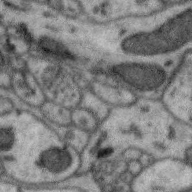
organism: Zebra finch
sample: Brain